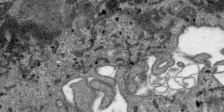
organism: Human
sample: Lung epithelial cells, uninfected (mock) control